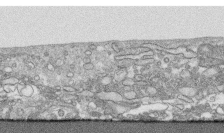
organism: Human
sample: CRL-1474